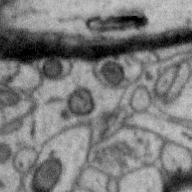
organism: Zebra finch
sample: Brain